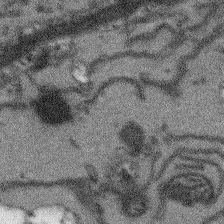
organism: Arabidopsis thaliana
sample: Root tip